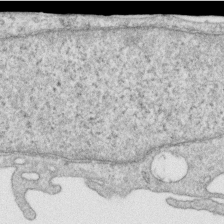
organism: Human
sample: Centriole in RPE cells